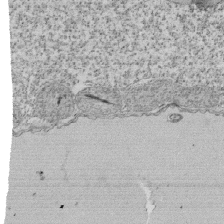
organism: Tetrahymena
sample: Cilia in tetrahymena